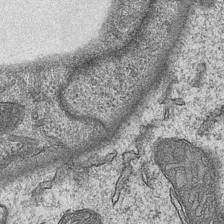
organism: Mouse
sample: CA1 Hippocampus